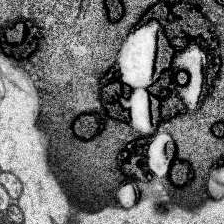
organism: Human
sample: Temporal Lobe